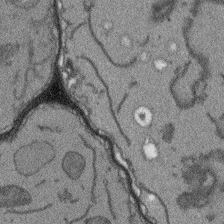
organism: Arabidopsis thaliana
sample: Root tip